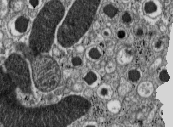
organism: C57BL Mouse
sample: Pancreatic islet